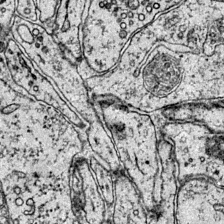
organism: Mouse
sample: Primary visual cortex